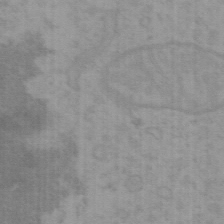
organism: Mouse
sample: Choroid plexus